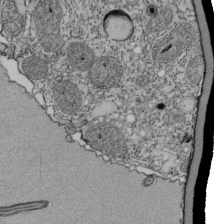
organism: Tetrahymena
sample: Cilia in tetrahymena